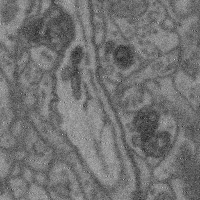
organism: Mouse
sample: Cerebral cortex